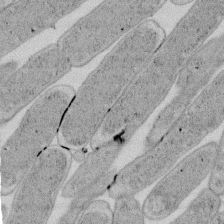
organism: E. coli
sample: Bacterial nucleoid